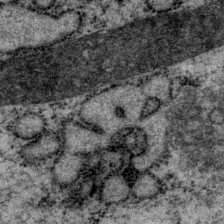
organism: P. pacificus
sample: Pharynx